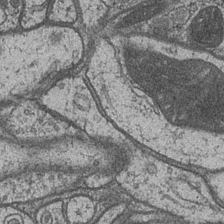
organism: Drosophila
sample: Optic medulla